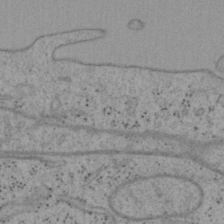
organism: Human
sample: HeLa cells